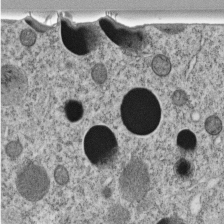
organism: C. elegans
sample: C. elegans embryo early stage